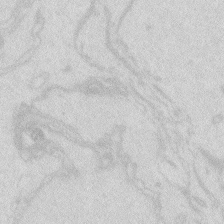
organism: Zebrafish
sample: Macrophage